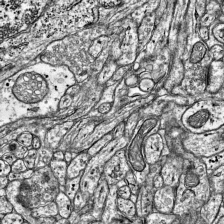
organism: Mouse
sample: Visual Cortex